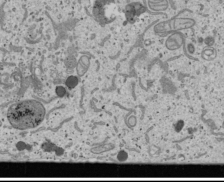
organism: Human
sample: Mitochondria in U2OS cells